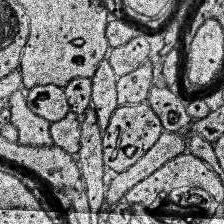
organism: Human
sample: Temporal Lobe